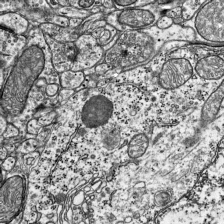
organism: Mouse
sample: Visual Cortex